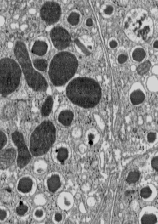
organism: C57BL Mouse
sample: Pancreatic islet